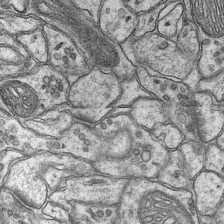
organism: Mouse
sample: CA1 Hippocampus